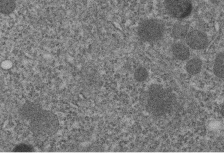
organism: C. elegans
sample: C. elegans embryo early stage